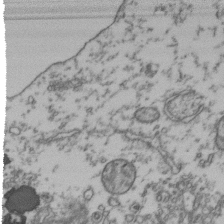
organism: Human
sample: Activated Jurkat CD4+ T cells